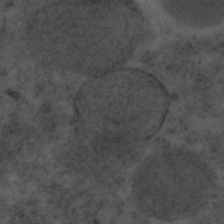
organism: C. elegans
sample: C. elegans embryo